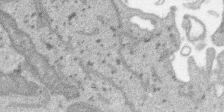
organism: Human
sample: Lung epithelial cells infected with SARS-CoV-2